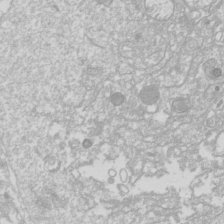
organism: Drosophila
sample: Cell division; meiosis; drosophila spermatocytes